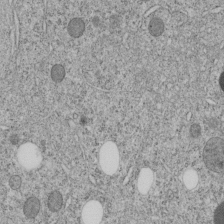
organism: C. elegans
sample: C. elegans embryo early stage